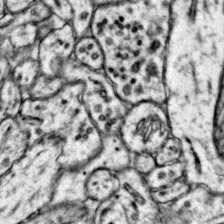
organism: Mouse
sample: Primary visual cortex